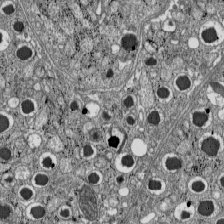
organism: C57BL Mouse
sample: Pancreatic islet